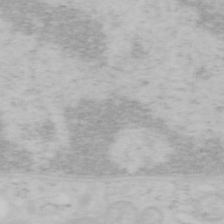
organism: Mouse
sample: OT-I killer T cells with ID8 ovarian cancer cells